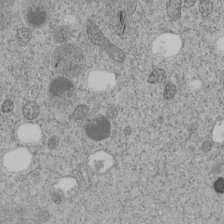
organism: C. elegans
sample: C. elegans embryo early stage